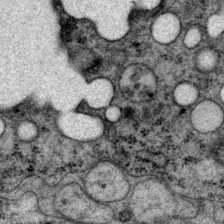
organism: P. pacificus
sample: Pharynx